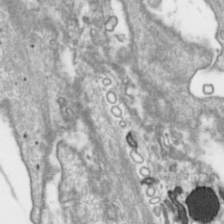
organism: Toxoplasma gondii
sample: Parasites in a vacuole inside a host cell